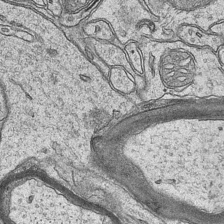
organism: Mouse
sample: CA1 Hippocampus